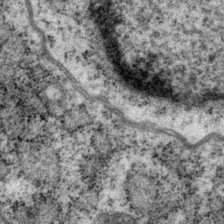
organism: P. pacificus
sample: Pharynx